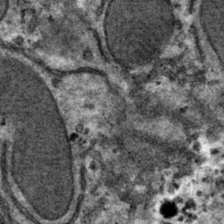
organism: Mouse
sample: Mouse hepatocytes